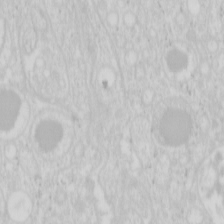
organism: Mouse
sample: Pancreas